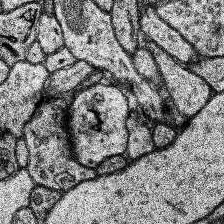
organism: Human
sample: Temporal Lobe